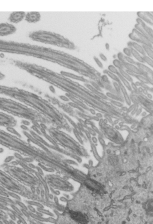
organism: Mouse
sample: Mouse epididymis efferent ductule cilia